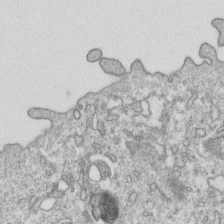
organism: Mouse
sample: Activated OT-1 CD8+ T cells